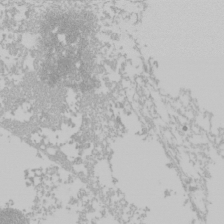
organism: Mouse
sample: Cancer cell death in ED-1 cells